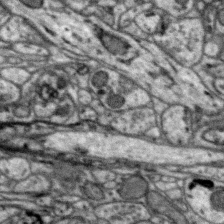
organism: Zebra finch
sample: Brain